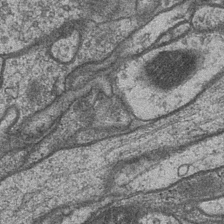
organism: Drosophila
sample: Optic medulla